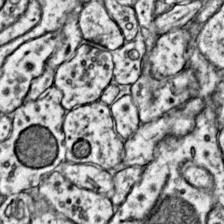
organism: Mouse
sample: Primary visual cortex